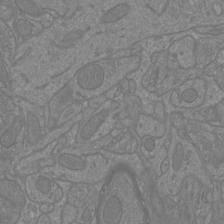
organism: Mouse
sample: Cortical neurons